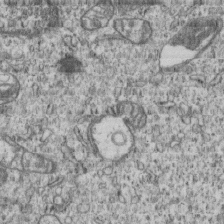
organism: Human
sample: MDA-MB-231 cells